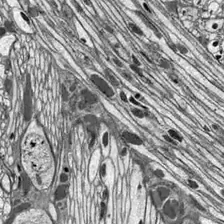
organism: Drosophila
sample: Optic lobe